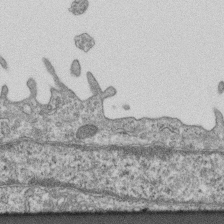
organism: Mouse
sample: Centriole in ependymal cells